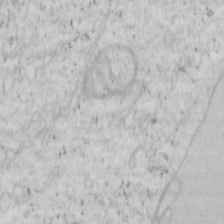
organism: Human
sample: HeLa cells